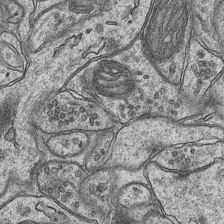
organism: Mouse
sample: CA1 Hippocampus